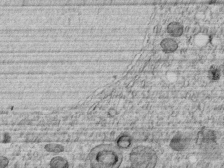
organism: C. elegans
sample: C. elegans embryo early stage